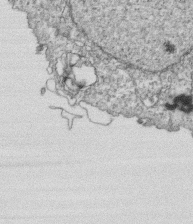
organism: Human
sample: HeLa cell HIV synapse